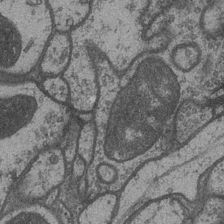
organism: Drosophila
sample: Optic medulla